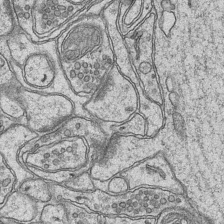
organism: Mouse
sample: CA1 Hippocampus